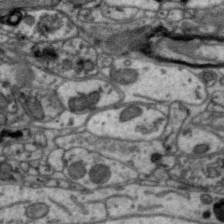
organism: Zebra finch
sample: Brain